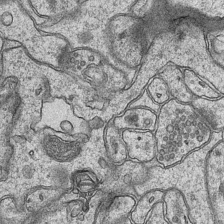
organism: Mouse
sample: CA1 Hippocampus